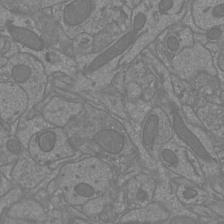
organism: Mouse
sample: Cortical neurons